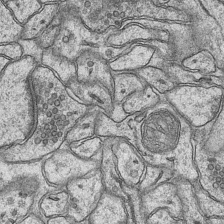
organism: Mouse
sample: CA1 Hippocampus